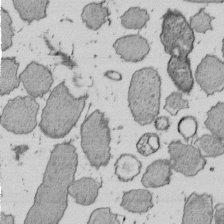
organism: E. coli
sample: Bacterial nucleoid